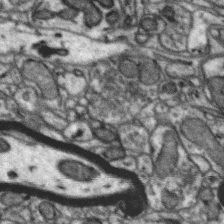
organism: Zebra finch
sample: Brain